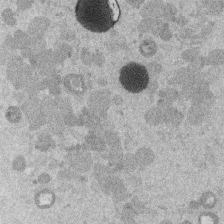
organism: Mouse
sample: Dividing mouse embryo 1 cell stage